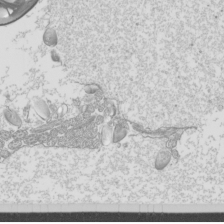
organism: Mouse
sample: Cilia; mouse epididymis